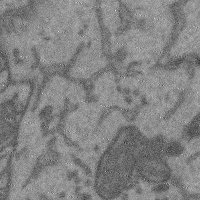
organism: Mouse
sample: Cerebral cortex